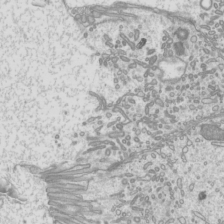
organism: Mouse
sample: Cilia; mouse epididymis